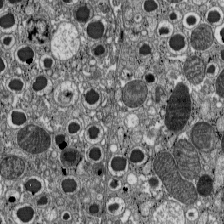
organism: C57BL Mouse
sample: Pancreatic islet